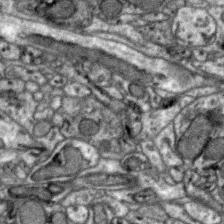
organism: Zebra finch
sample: Brain